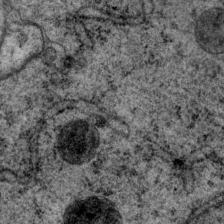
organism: P. pacificus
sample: Pharynx